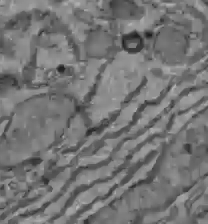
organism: C57BL Mouse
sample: Liver